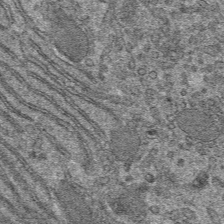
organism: Mouse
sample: Mouse hepatocytes